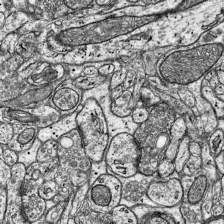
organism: Mouse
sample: Visual Cortex